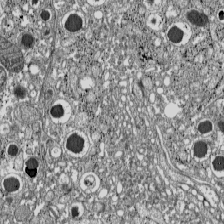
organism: C57BL Mouse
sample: Pancreatic islet